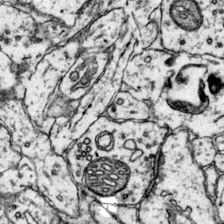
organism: Mouse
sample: Primary visual cortex